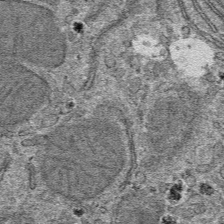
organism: Mouse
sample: Mouse hepatocytes